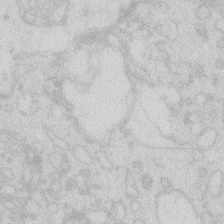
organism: Zebrafish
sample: Macrophage